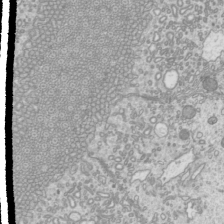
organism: Mouse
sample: Cilia; mouse epididymis